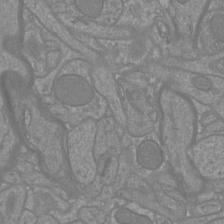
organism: Mouse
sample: Cortical neurons